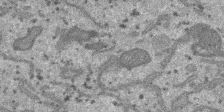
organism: Human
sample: Lung epithelial cells infected with SARS-CoV-2